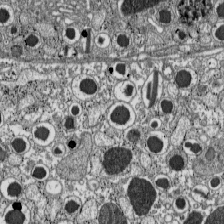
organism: C57BL Mouse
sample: Pancreatic islet